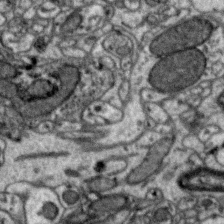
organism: Zebra finch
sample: Brain